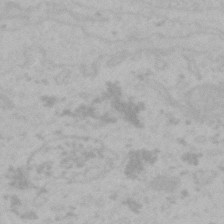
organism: Mouse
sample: Choroid plexus